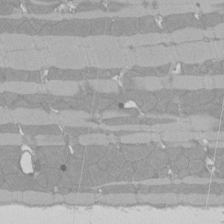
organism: Rat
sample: Left ventricle